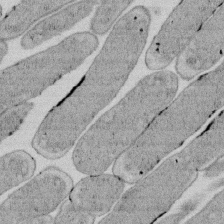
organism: E. coli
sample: Bacterial nucleoid